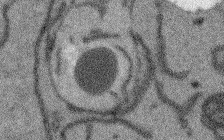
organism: Arabidopsis thaliana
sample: Root tip